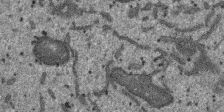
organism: Human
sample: Lung epithelial cells infected with SARS-CoV-2